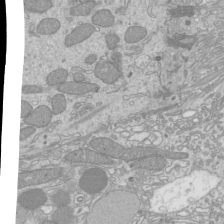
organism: Mouse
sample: Cilia; mouse epididymis